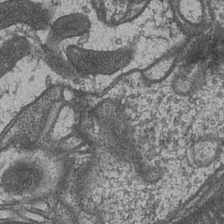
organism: Drosophila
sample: Optic medulla